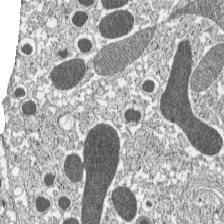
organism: C57BL Mouse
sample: Pancreatic islet